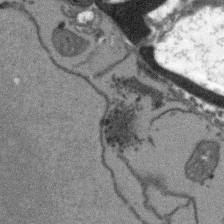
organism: Arabidopsis thaliana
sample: Root tip